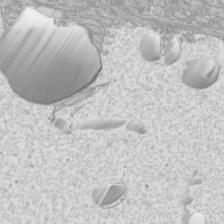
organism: Mouse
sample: Cilia; mouse epididymis